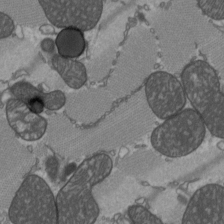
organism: C57BL Mouse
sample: Heart